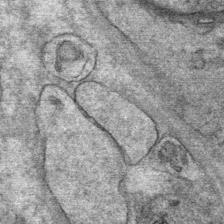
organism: Mouse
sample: Mouse Salivary gland